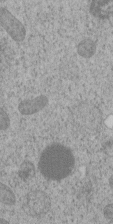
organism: C. elegans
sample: C. elegans embryo early stage